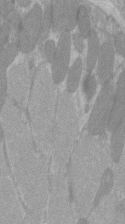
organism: C57BL Mouse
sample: Tibialis anterior muscle cell